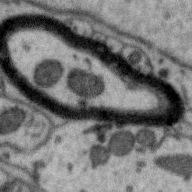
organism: Zebra finch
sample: Brain